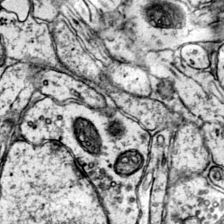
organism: Mouse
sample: Primary visual cortex